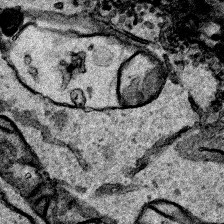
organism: Human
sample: Mitochondria in HCT116 cells